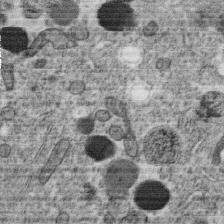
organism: C. elegans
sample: C. elegans oocyte; sperm cells